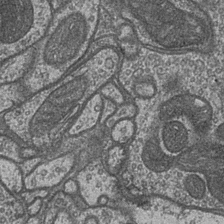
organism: Drosophila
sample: Optic medulla